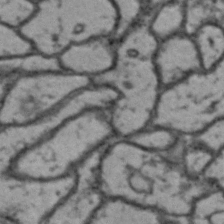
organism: Drosophila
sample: Brain